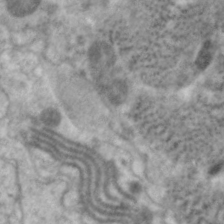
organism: C. elegans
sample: Pharynx